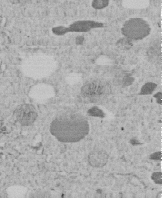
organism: C. elegans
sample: C. elegans embryo early stage